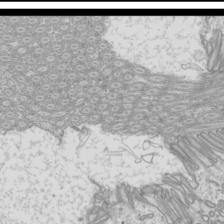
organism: Mouse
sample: Cilia; mouse epididymis